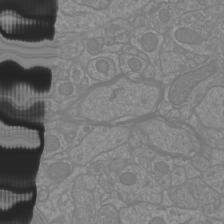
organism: Mouse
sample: Cortical neurons